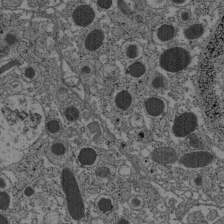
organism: C57BL Mouse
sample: Pancreatic islet